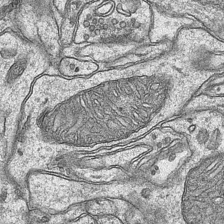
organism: Mouse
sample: CA1 Hippocampus